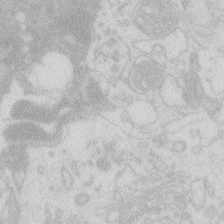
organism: Zebrafish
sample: Macrophage